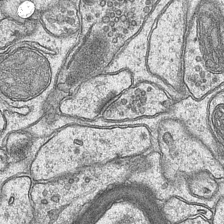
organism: Mouse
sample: CA1 Hippocampus